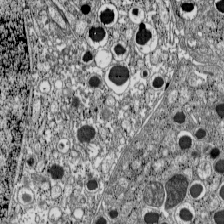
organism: C57BL Mouse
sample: Pancreatic islet